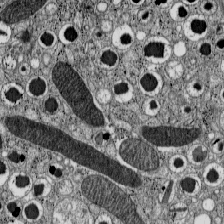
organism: C57BL Mouse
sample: Pancreatic islet